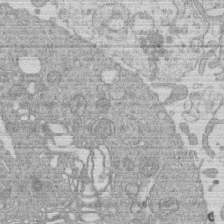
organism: Human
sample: Macrophage cells